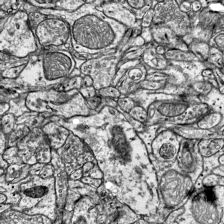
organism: Mouse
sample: Visual Cortex